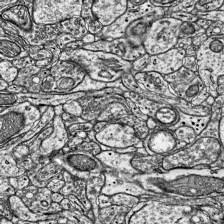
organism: Mouse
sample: Visual Cortex